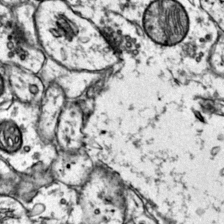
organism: Mouse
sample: Primary visual cortex